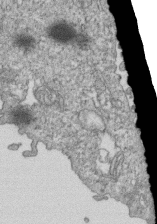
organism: Human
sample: HeLa cell HIV synapse